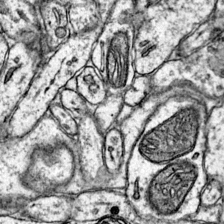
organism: Mouse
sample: Primary visual cortex